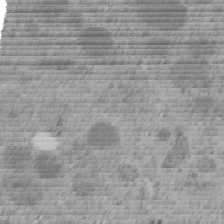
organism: C. elegans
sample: C. elegans embryo early stage